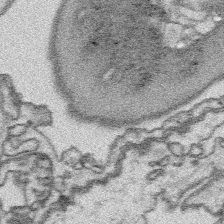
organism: Platynereis dumerilii